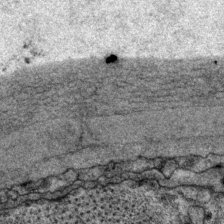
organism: P. pacificus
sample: Pharynx